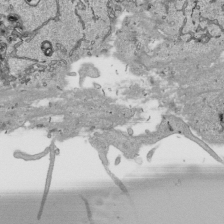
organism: Human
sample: Mitochondria in HCT116 cells